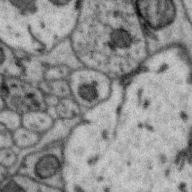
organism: Zebra finch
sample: Brain